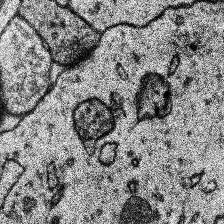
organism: Human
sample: Temporal Lobe